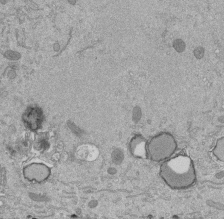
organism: Mouse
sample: ED-1 cell nuclei; centrioles